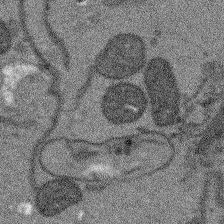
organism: Arabidopsis thaliana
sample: Root tip